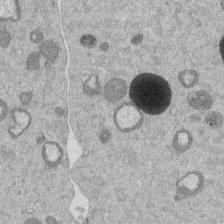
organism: Mouse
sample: Dividing mouse embryo 1 cell stage